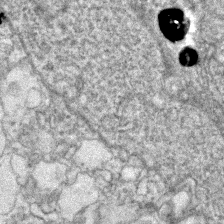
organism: Zebrafish